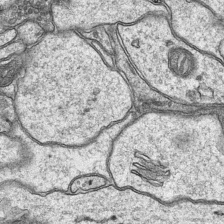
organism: Mouse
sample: CA1 Hippocampus